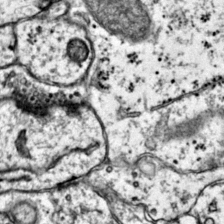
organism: Mouse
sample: Primary visual cortex